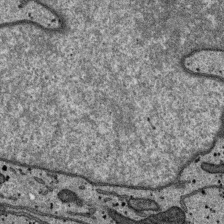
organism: Human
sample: Lung epithelial cells, uninfected (mock) control